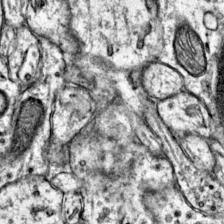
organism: Mouse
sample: Primary visual cortex